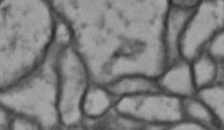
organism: Drosophila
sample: Brain